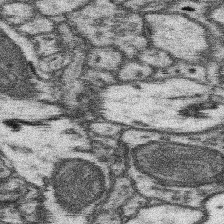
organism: Mouse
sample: Somatosensory cortex neuropil